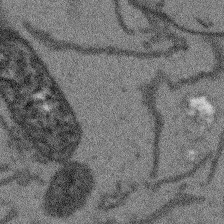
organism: Arabidopsis thaliana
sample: Root tip